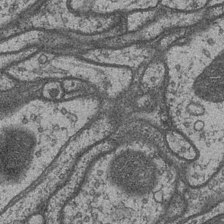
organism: Drosophila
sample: Optic medulla